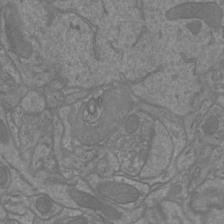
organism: Mouse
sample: Cortical neurons